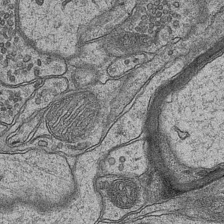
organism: Mouse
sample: CA1 Hippocampus